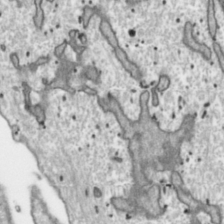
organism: Toxoplasma gondii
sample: Parasites in a vacuole inside a host cell